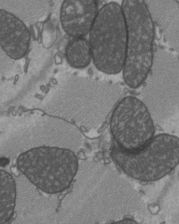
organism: C57BL Mouse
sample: Heart